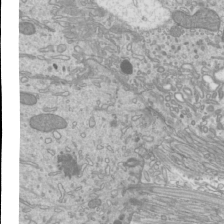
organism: Mouse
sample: Cilia; mouse epididymis